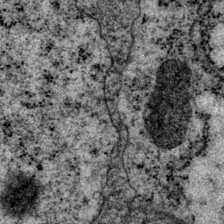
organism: P. pacificus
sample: Pharynx